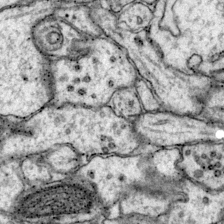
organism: Mouse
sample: Primary visual cortex